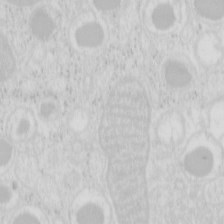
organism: Mouse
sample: Pancreas